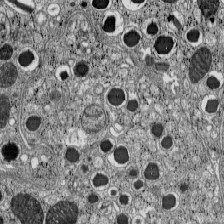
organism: C57BL Mouse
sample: Pancreatic islet